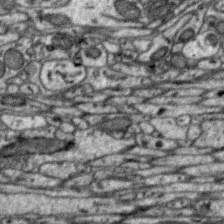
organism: Zebra finch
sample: Brain